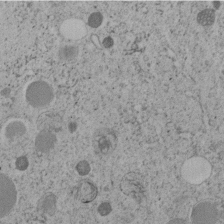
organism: C. elegans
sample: C. elegans embryo early stage